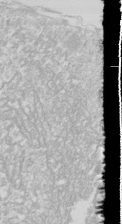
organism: Drosophila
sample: Cell division; meiosis; drosophila spermatocytes